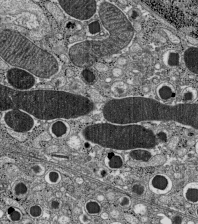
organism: C57BL Mouse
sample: Pancreatic islet